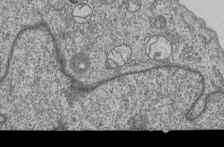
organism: Human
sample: MDA-MB-231 cells